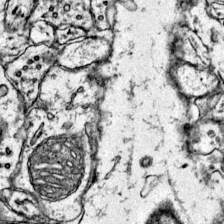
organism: Mouse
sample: Primary visual cortex